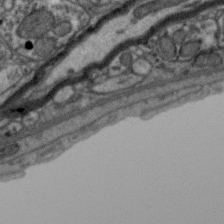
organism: Zebra finch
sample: Brain